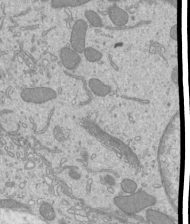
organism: Mouse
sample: Cilia; mouse epididymis